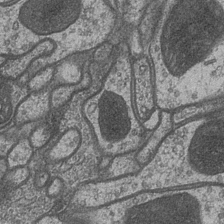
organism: Drosophila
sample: Optic medulla